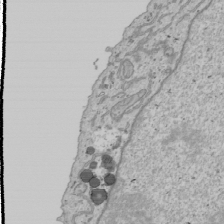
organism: Human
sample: Mitochondria in U2OS cells